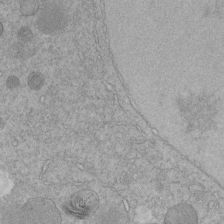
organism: C. elegans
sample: C. elegans embryo early stage